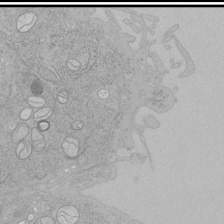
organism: Human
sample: Mitochondria in HCT116 cells